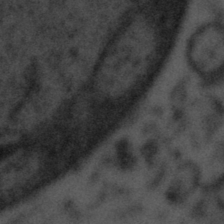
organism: Tuwongella immobilis